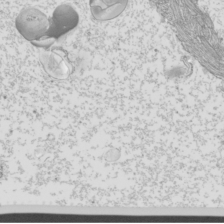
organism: Mouse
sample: Cilia; mouse epididymis